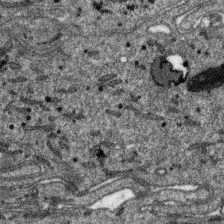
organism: Human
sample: Lung epithelial cells infected with SARS-CoV-2